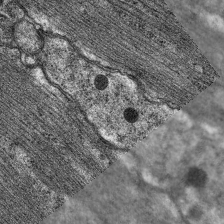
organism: C. elegans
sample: Pharynx